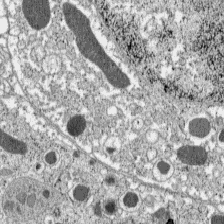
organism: C57BL Mouse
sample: Pancreatic islet